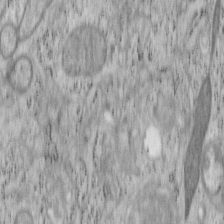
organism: Human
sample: HeLa cells